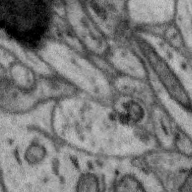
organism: Zebra finch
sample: Brain